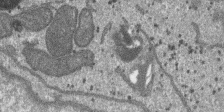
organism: Human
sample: Lung epithelial cells infected with SARS-CoV-2